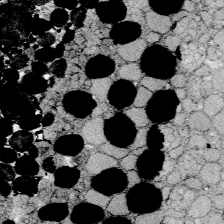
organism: Zebrafish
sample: Whole-Brain